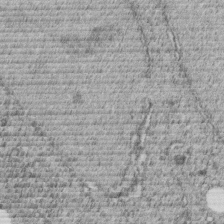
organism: C. elegans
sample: C. elegans embryo early stage